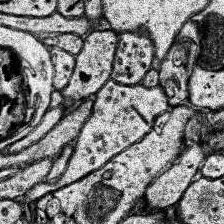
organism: Human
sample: Temporal Lobe